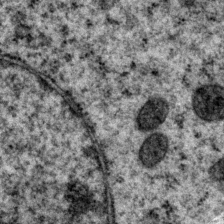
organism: P. pacificus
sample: Pharynx